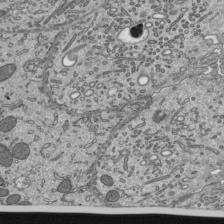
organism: Mouse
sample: Mouse epididymis efferent ductule cilia